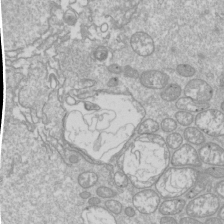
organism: Drosophila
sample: Cell division; meiosis; drosophila spermatocytes